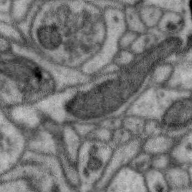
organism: Zebra finch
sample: Brain